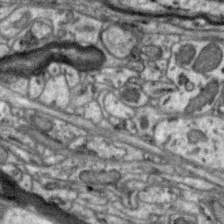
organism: Zebra finch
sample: Brain